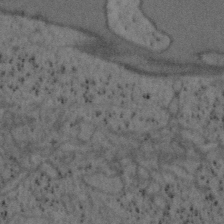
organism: Human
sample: HeLa cells